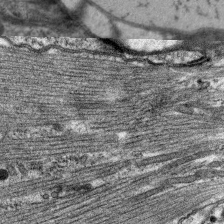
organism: C. elegans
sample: Pharynx